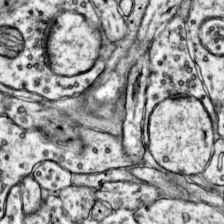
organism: Mouse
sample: Primary visual cortex